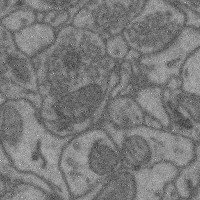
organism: Mouse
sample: Cerebral cortex